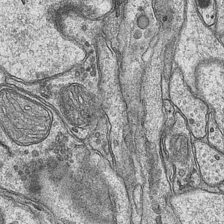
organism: Mouse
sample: CA1 Hippocampus